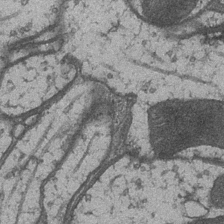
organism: Drosophila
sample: Optic medulla